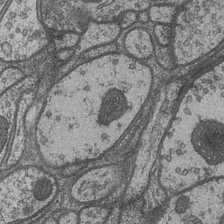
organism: Drosophila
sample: Optic medulla